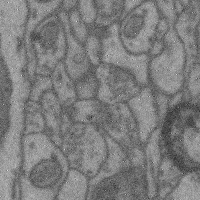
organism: Mouse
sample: Cerebral cortex